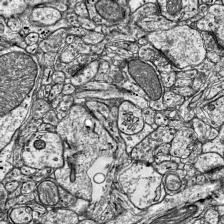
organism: Mouse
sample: Visual Cortex